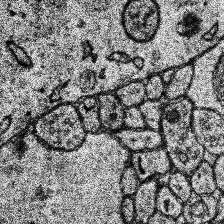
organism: Human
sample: Temporal Lobe